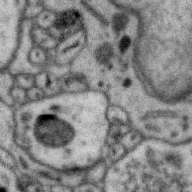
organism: Zebra finch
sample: Brain